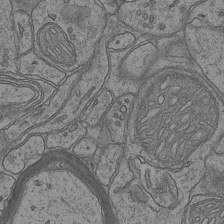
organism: Mouse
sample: CA1 Hippocampus